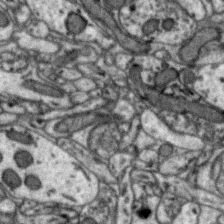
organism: Zebra finch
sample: Brain